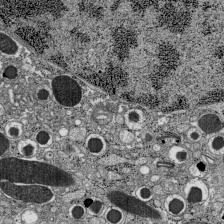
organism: C57BL Mouse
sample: Pancreatic islet